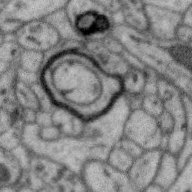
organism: Zebra finch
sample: Brain